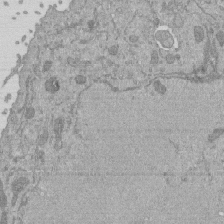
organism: Mouse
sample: ED-1 cell nuclei; centrioles